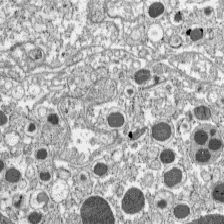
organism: C57BL Mouse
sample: Pancreatic islet